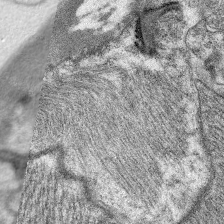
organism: C. elegans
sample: Pharynx